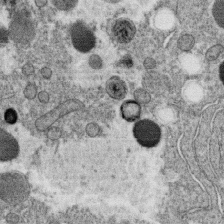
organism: C. elegans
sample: C. elegans oocyte; sperm cells